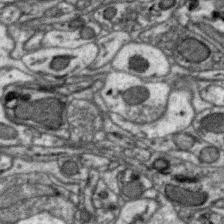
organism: Zebra finch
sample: Brain